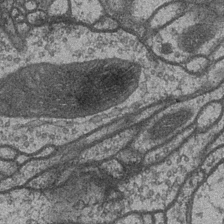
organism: Drosophila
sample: Optic medulla